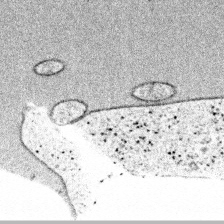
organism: Human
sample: HeLa cells